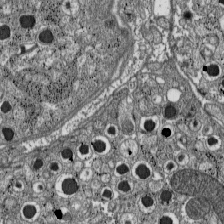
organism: C57BL Mouse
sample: Pancreatic islet